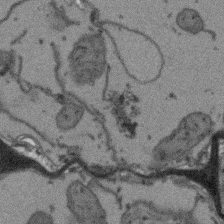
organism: Arabidopsis thaliana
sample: Root tip